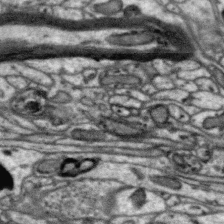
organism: Zebra finch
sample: Brain